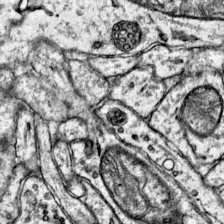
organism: Mouse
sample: Primary visual cortex